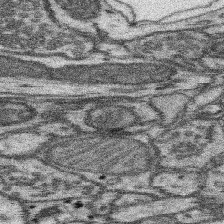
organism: Mouse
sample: Somatosensory cortex neuropil